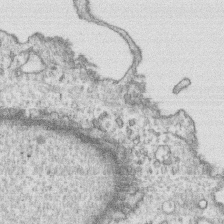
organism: Human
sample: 1205lu cells